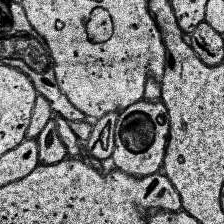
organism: Human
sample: Temporal Lobe